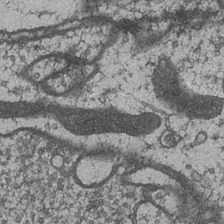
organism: Drosophila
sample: Optic medulla